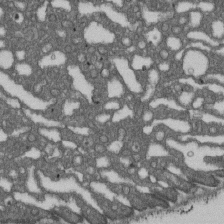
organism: Drosophila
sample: Nephrocyte